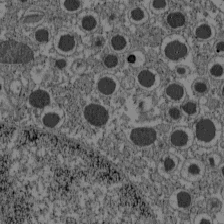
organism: C57BL Mouse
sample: Pancreatic islet